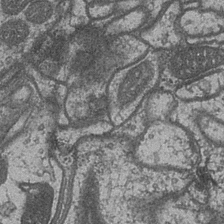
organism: Drosophila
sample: Optic medulla